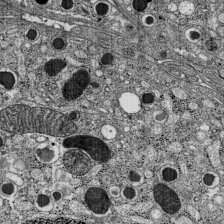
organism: C57BL Mouse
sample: Pancreatic islet